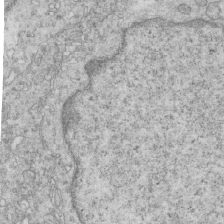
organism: Mouse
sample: Multiciliated cells